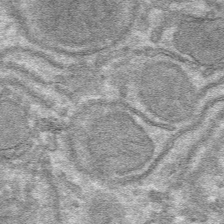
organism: Mouse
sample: Mouse hepatocytes